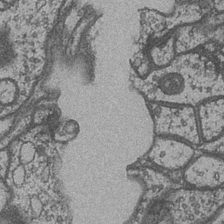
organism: Drosophila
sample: Optic medulla